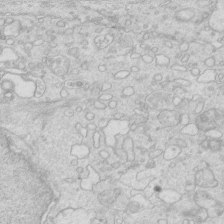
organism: Mouse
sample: Multiciliated cells